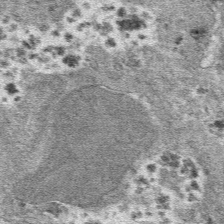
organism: Mouse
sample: Mouse hepatocytes